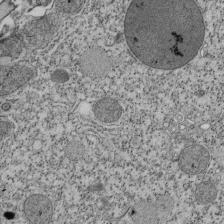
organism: Tetrahymena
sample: Cilia in tetrahymena